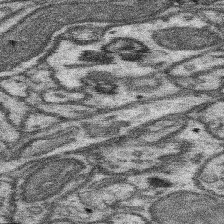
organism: Mouse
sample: Somatosensory cortex neuropil